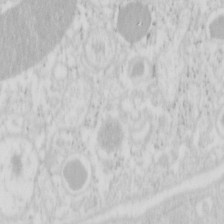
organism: Mouse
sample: Pancreas